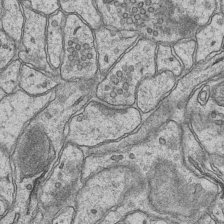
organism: Mouse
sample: CA1 Hippocampus